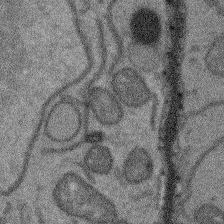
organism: Arabidopsis thaliana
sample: Root tip